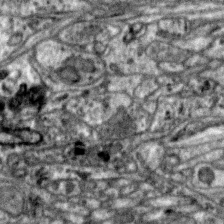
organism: Zebra finch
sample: Brain